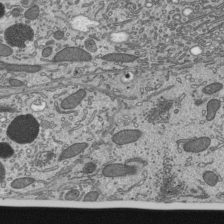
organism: Mouse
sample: Mouse epididymis efferent ductule cilia